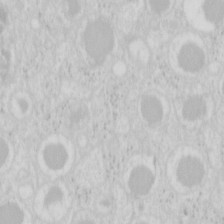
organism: Mouse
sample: Pancreas